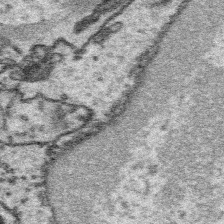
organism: Platynereis dumerilii